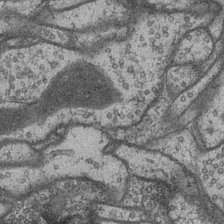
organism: Drosophila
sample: Optic medulla